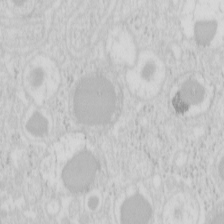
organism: Mouse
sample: Pancreas